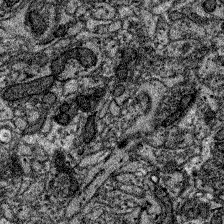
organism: Zebrafish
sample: Larval olfactory bulb